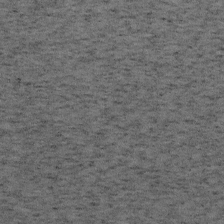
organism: Mouse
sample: OT-I killer T cells with ID8 ovarian cancer cells